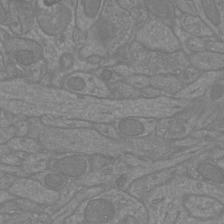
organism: Mouse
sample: Cortical neurons